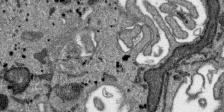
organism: Human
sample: Lung epithelial cells, uninfected (mock) control